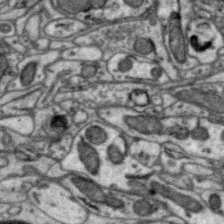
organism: Zebra finch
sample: Brain